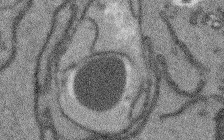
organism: Arabidopsis thaliana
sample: Root tip